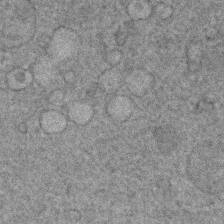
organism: Human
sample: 1205lu cells